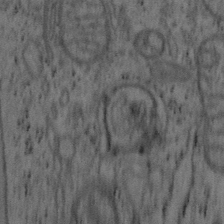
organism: Human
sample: HeLa cells